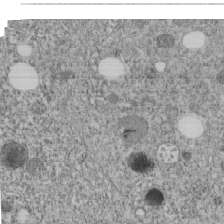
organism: C. elegans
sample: C. elegans embryo early stage